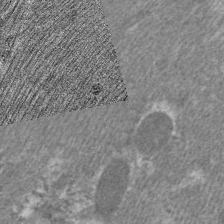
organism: C. elegans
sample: Pharynx